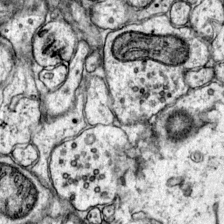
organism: Mouse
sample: Primary visual cortex